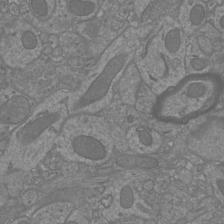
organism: Mouse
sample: Cortical neurons